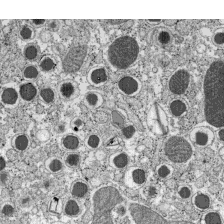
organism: C57BL Mouse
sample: Pancreatic islet